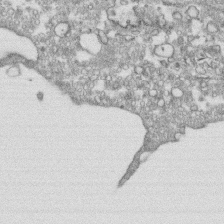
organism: Human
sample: CRL-1474